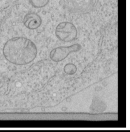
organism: Human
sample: Mitochondria in HCT116 cells